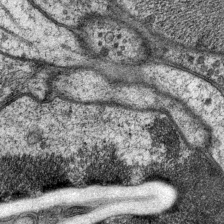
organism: P. pacificus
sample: Pharynx